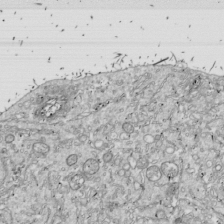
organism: Drosophila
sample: Cell division; meiosis; drosophila spermatocytes